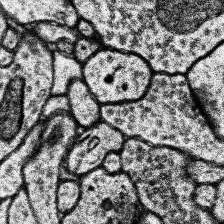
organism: Human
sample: Temporal Lobe